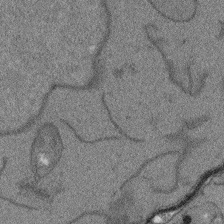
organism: Arabidopsis thaliana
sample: Root tip